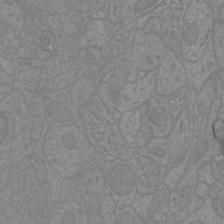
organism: Mouse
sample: Cortical neurons